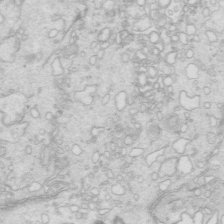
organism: Mouse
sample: Multiciliated cells